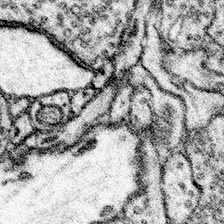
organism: Mouse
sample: Somatosensory cortex neuropil